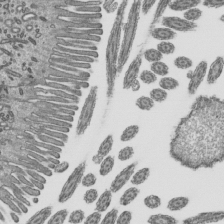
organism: Mouse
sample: Mouse epididymis efferent ductule cilia